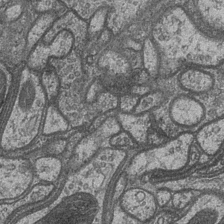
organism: Drosophila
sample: Optic medulla